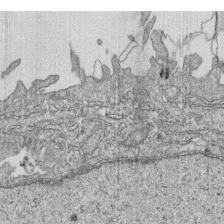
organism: Human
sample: HeLa cell HIV synapse